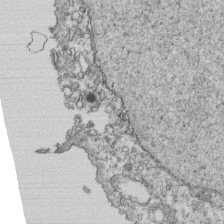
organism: Human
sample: HeLa cell HIV synapse